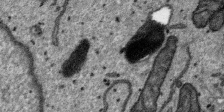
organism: Human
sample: Lung epithelial cells, uninfected (mock) control